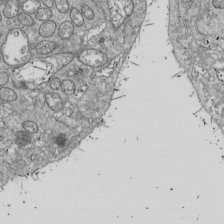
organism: Drosophila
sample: Cell division; meiosis; drosophila spermatocytes